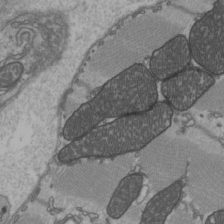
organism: C57BL Mouse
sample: Heart